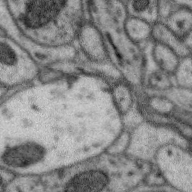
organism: Zebra finch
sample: Brain